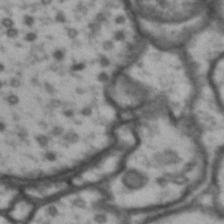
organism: Drosophila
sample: Brain